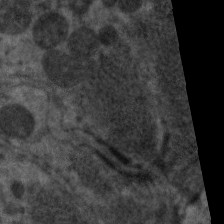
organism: C. elegans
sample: Pharynx